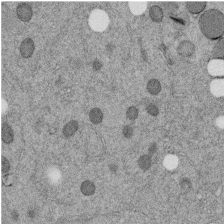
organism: C. elegans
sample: C. elegans embryo early stage